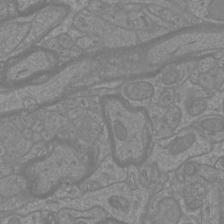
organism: Mouse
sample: Cortical neurons